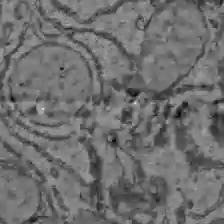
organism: C57BL Mouse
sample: Liver